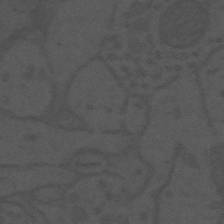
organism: Mouse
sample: Suprachiasmatic nucleus